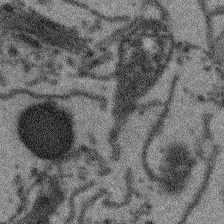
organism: Arabidopsis thaliana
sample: Root tip